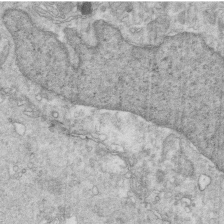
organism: Mouse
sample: Multiciliated cells